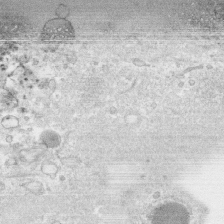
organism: Human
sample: CRL-1474